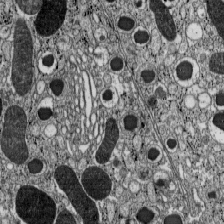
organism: C57BL Mouse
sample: Pancreatic islet